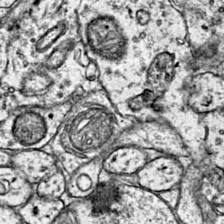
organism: Mouse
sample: Primary visual cortex